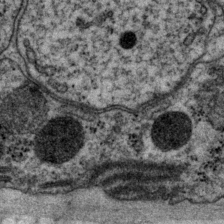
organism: P. pacificus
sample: Pharynx